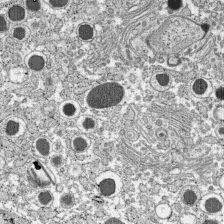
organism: C57BL Mouse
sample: Pancreatic islet